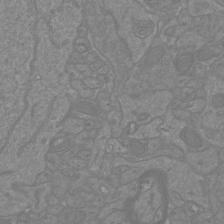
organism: Mouse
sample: Cortical neurons